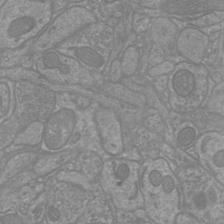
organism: Mouse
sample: Cortical neurons